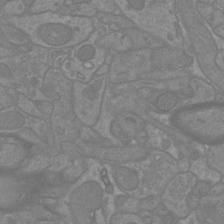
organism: Mouse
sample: Cortical neurons